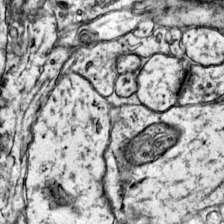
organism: Mouse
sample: Primary visual cortex